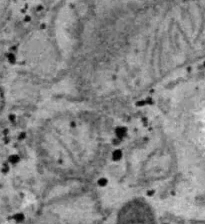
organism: Mouse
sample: Liver from an obese (ob/ob) mouse